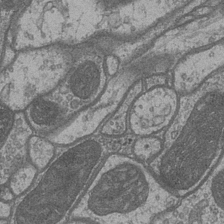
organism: Drosophila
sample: Optic medulla